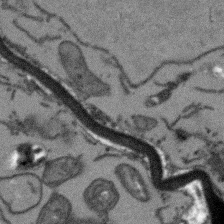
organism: Arabidopsis thaliana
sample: Root tip